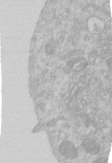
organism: Human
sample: Centriole in RPE cells